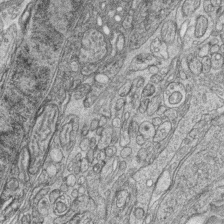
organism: Zebrafish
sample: synaptic ribbons in rod cells and cone cells